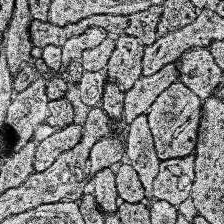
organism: Human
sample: Temporal Lobe